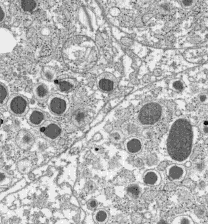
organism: C57BL Mouse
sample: Pancreatic islet